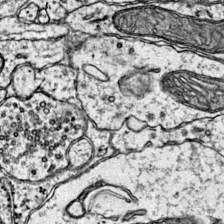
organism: Mouse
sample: Primary visual cortex